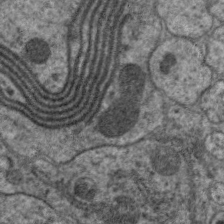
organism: C. elegans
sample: Pharynx